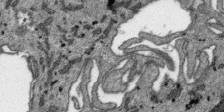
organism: Human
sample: Lung epithelial cells, uninfected (mock) control